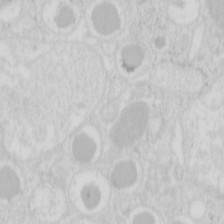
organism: Mouse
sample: Pancreas